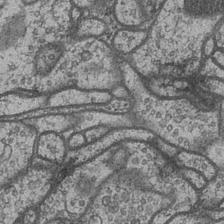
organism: Drosophila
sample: Optic medulla